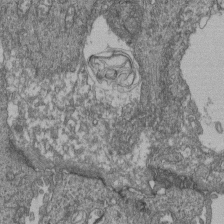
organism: Human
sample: Retinal organoid Rod and Cone cells